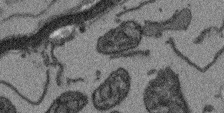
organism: Arabidopsis thaliana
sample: Root tip